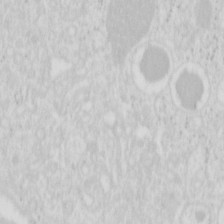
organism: Mouse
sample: Pancreas